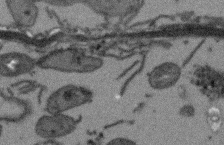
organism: Arabidopsis thaliana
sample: Root tip